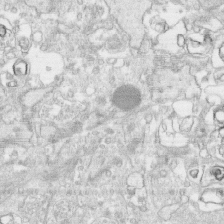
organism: Human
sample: CRL-1474